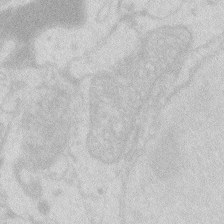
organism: Zebrafish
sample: Macrophage